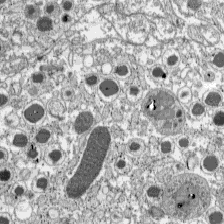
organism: C57BL Mouse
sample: Pancreatic islet